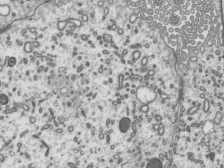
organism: Mouse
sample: Mouse epididymis efferent ductule cilia